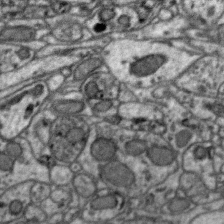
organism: Zebra finch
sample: Brain